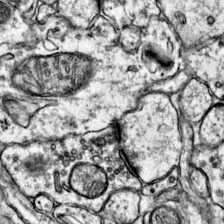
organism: Mouse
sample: Primary visual cortex